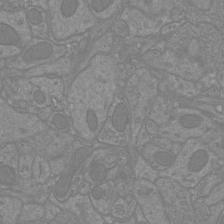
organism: Mouse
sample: Cortical neurons